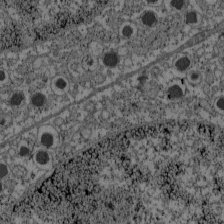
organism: C57BL Mouse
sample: Pancreatic islet